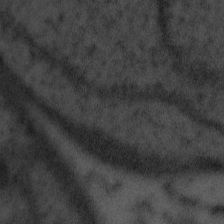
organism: Tuwongella immobilis